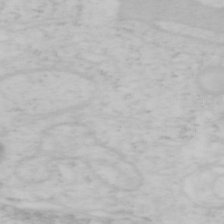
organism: Mouse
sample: OT-I killer T cells with ID8 ovarian cancer cells